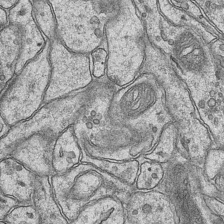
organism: Mouse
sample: CA1 Hippocampus